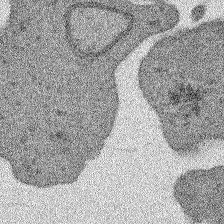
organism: Human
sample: HeLa cells